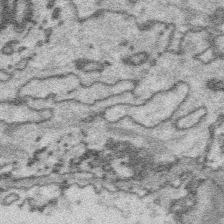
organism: Platynereis dumerilii